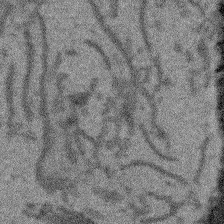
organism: Arabidopsis thaliana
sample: Root tip